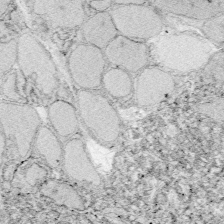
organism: Zebrafish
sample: Whole-Brain